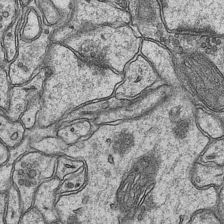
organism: Mouse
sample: CA1 Hippocampus